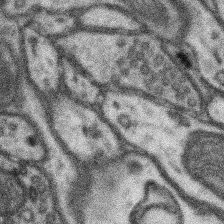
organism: Mouse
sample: Somatosensory cortex neuropil